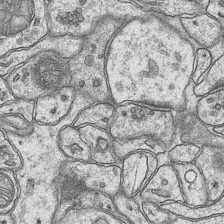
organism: Mouse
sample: CA1 Hippocampus